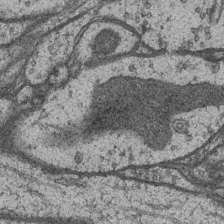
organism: Drosophila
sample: Optic medulla